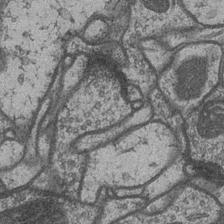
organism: Drosophila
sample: Optic medulla